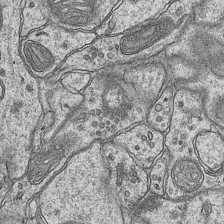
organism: Mouse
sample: CA1 Hippocampus